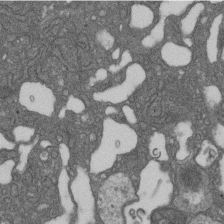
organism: Drosophila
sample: Nephrocyte